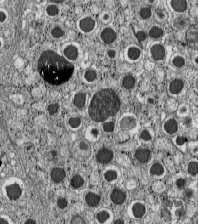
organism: C57BL Mouse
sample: Pancreatic islet